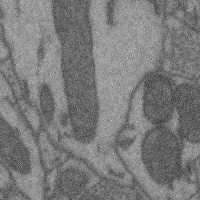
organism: Mouse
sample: Cerebral cortex